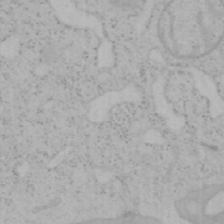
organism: Mouse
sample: OT-I killer T cells with ID8 ovarian cancer cells